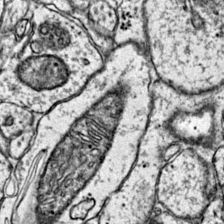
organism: Mouse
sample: Primary visual cortex